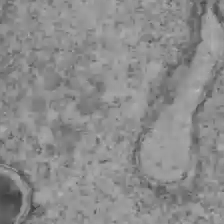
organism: C57BL Mouse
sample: Liver